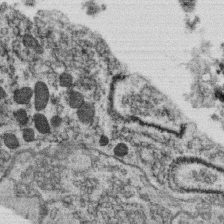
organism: C. elegans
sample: C. elegans oocyte; sperm cells